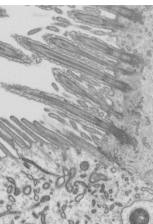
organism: Mouse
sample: Mouse epididymis efferent ductule cilia